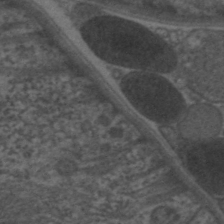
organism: C. elegans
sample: Pharynx